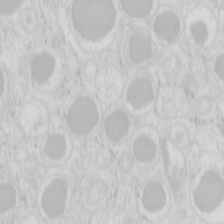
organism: Mouse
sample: Pancreas